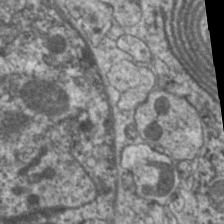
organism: C. elegans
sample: Pharynx